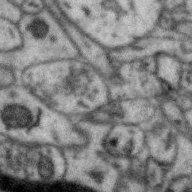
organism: Zebra finch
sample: Brain